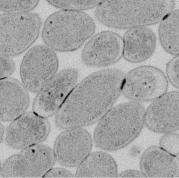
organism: E. coli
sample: Bacterial nucleoid